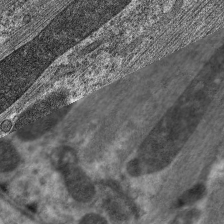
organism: C. elegans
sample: Pharynx